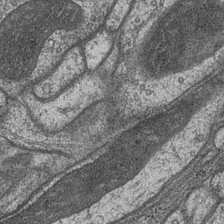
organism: Drosophila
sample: Optic medulla